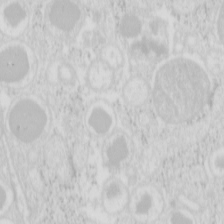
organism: Mouse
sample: Pancreas